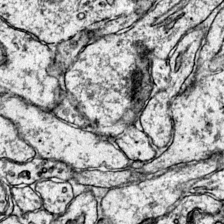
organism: Mouse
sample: Primary visual cortex